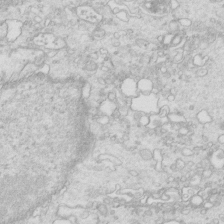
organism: Mouse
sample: Multiciliated cells